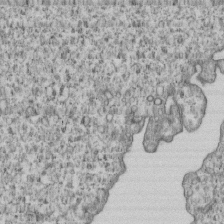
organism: Human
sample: MDA-MB-231 cells